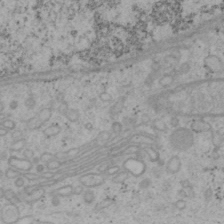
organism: Human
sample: HeLa cells